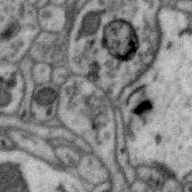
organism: Zebra finch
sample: Brain